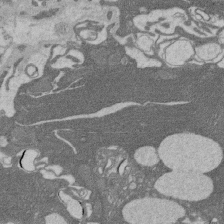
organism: Rat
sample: Salivary granule